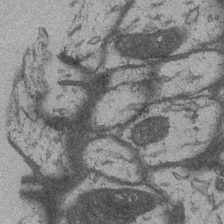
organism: Drosophila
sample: Optic medulla